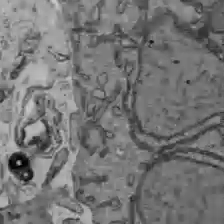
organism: C57BL Mouse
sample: Liver